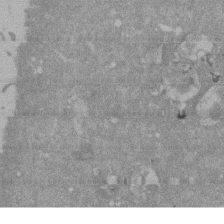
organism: Mouse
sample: ED-1 cell nuclei; centrioles